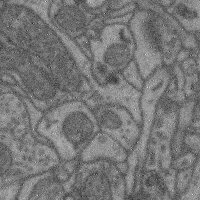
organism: Mouse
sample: Cerebral cortex